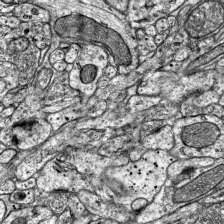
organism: Mouse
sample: Visual Cortex